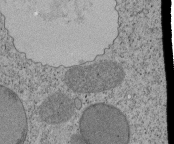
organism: Tetrahymena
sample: Cilia in tetrahymena